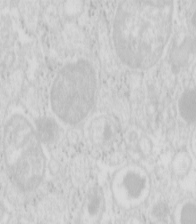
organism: Mouse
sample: Pancreas